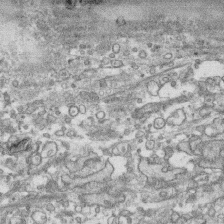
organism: Human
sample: CRL-1474